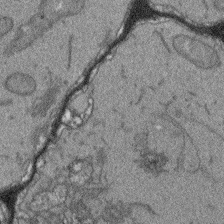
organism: Arabidopsis thaliana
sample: Root tip